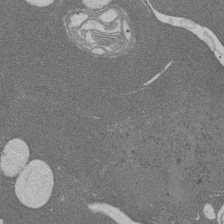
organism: Rat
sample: Salivary granule